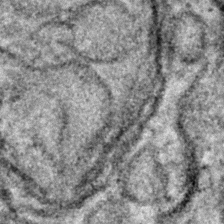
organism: Zebrafish